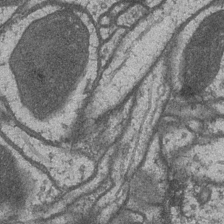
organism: Drosophila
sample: Optic medulla